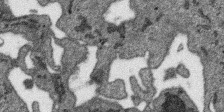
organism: Human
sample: Lung epithelial cells infected with SARS-CoV-2